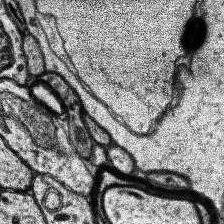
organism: Human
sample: Temporal Lobe